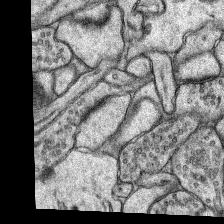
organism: Rat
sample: Hippocampus